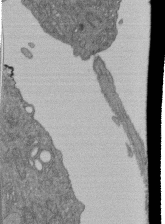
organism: Human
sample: Retinal organoid Rod and Cone cells